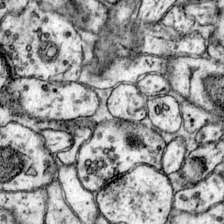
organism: Mouse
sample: Primary visual cortex